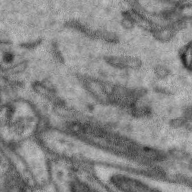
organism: Zebra finch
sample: Brain